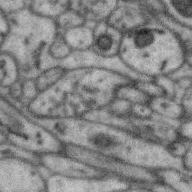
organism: Zebra finch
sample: Brain